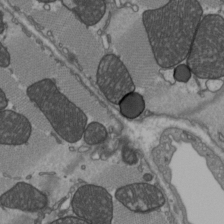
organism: C57BL Mouse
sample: Heart